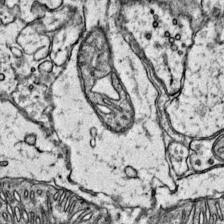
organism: Mouse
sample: Primary visual cortex